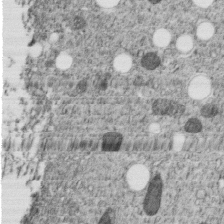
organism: C. elegans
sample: C. elegans embryo early stage